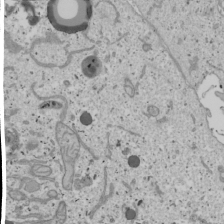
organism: Human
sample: Mitochondria in U2OS cells